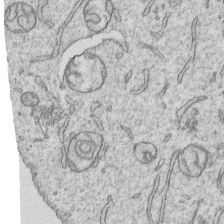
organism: Human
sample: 1205lu cells